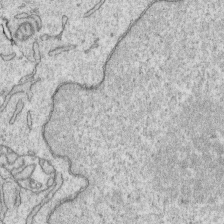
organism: Human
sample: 1205lu cells